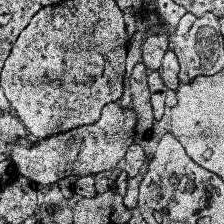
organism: Human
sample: Temporal Lobe